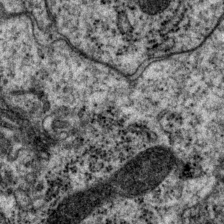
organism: P. pacificus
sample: Pharynx